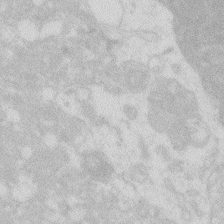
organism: Zebrafish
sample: Macrophage